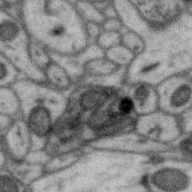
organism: Zebra finch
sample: Brain